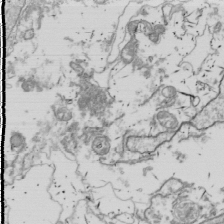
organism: Drosophila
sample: Cell division; meiosis; drosophila spermatocytes